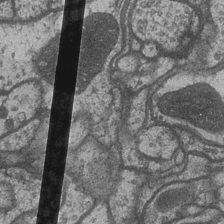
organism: Drosophila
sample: Optic medulla